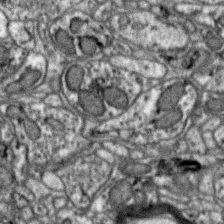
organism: Zebra finch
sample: Brain